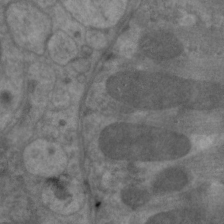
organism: C. elegans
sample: Pharynx